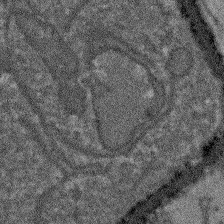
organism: Arabidopsis thaliana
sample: Root tip